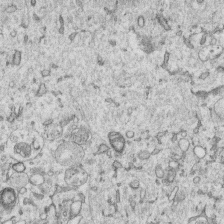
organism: Human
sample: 1205lu cells